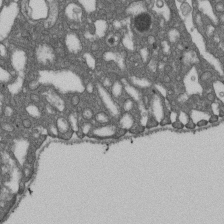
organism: Drosophila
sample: Nephrocyte